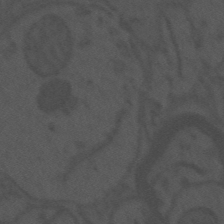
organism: Mouse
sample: Suprachiasmatic nucleus